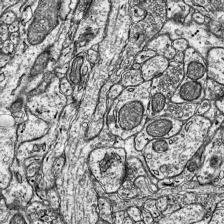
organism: Mouse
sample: Visual Cortex